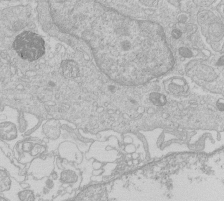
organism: Human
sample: Macrophage cells